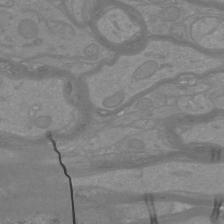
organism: Mouse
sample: Cortical neurons